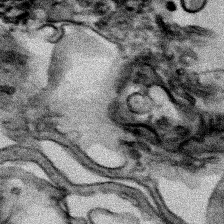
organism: Human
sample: Mitochondria in HCT116 cells